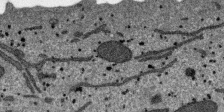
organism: Human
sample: Lung epithelial cells, uninfected (mock) control